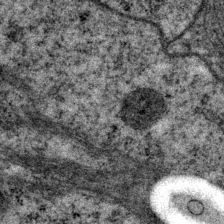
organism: P. pacificus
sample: Pharynx